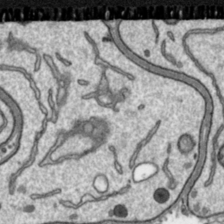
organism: Toxoplasma gondii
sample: Parasites in a vacuole inside a host cell